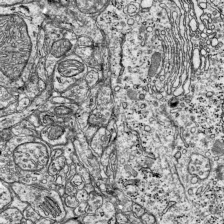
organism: Mouse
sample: Visual Cortex